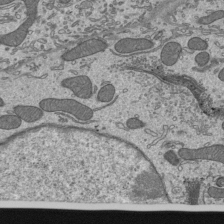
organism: Mouse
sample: Mouse epididymis efferent ductule cilia